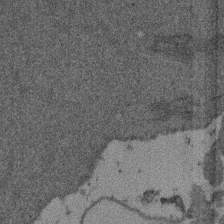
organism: Mouse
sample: Dividing mouse embryo 1 cell stage